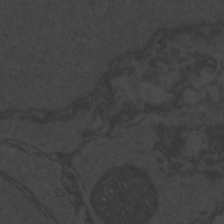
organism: Zebrafish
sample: Macrophage infected with Toxoplasma gondii